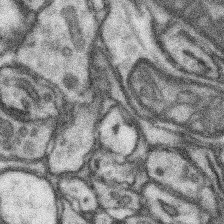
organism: Mouse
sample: Somatosensory cortex neuropil